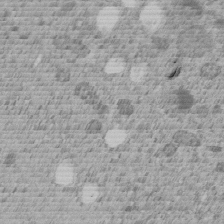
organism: C. elegans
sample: C. elegans embryo early stage